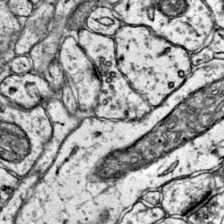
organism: Mouse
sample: Primary visual cortex